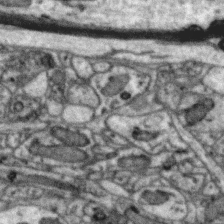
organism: Zebra finch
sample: Brain